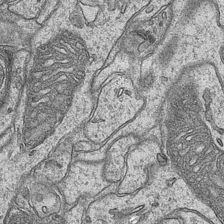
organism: Mouse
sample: CA1 Hippocampus